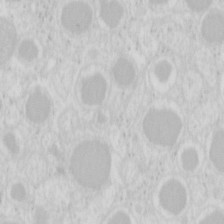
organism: Mouse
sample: Pancreas